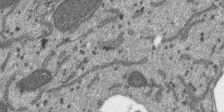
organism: Human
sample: Lung epithelial cells infected with SARS-CoV-2